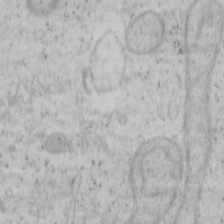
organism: Human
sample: HeLa cells